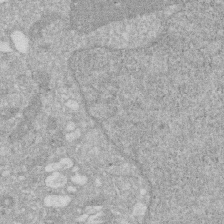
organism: Human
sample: HIV infected U937 cells